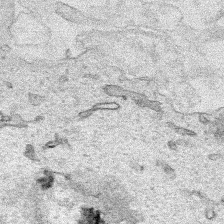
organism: Human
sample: Mitochondria in HCT116 cells